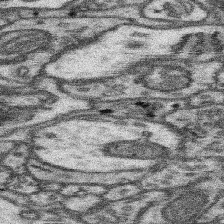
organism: Mouse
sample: Somatosensory cortex neuropil